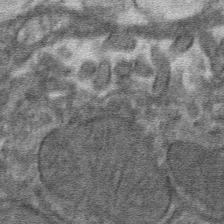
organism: Mouse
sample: Mouse hepatocytes